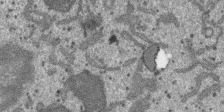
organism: Human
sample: Lung epithelial cells infected with SARS-CoV-2